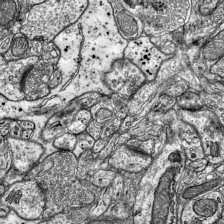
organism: Mouse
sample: Visual Cortex